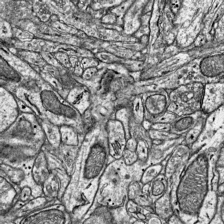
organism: Mouse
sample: Visual Cortex